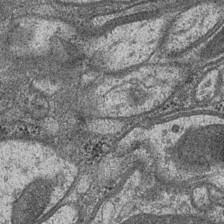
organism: Drosophila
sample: Optic medulla